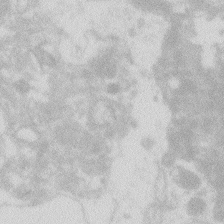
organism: Zebrafish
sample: Macrophage